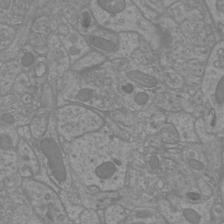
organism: Mouse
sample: Cortical neurons